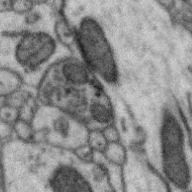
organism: Zebra finch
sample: Brain